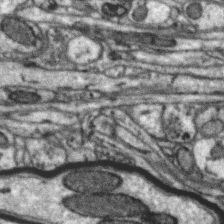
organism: Zebra finch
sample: Brain